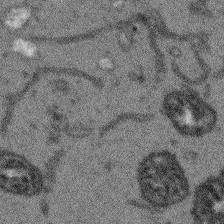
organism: Arabidopsis thaliana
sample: Root tip